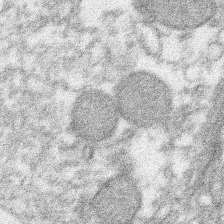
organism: Xenopus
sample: Cilia; centrioles in frog embryo cells